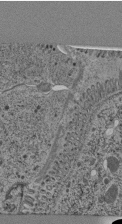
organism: C. elegans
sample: C. elegans pharynx